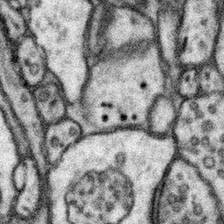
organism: Mouse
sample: Somatosensory cortex neuropil